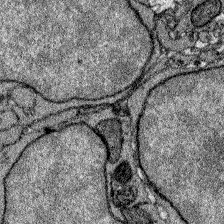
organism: Zebrafish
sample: Larval olfactory bulb